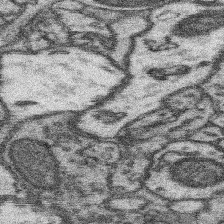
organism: Mouse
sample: Somatosensory cortex neuropil